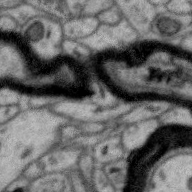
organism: Zebra finch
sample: Brain